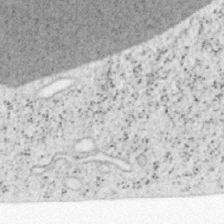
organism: Mouse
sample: OT-I killer T cells with ID8 ovarian cancer cells